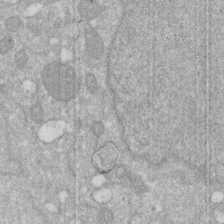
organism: Human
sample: HIV infected U937 cells